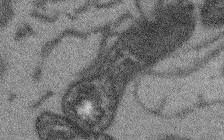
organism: Arabidopsis thaliana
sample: Root tip